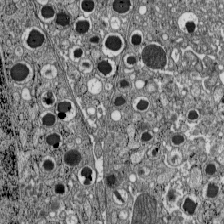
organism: C57BL Mouse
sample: Pancreatic islet